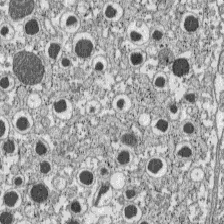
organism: C57BL Mouse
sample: Pancreatic islet